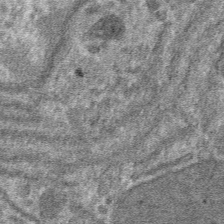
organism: Mouse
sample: Mouse hepatocytes